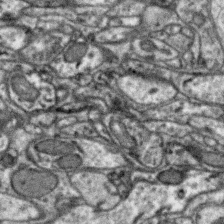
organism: Zebra finch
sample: Brain